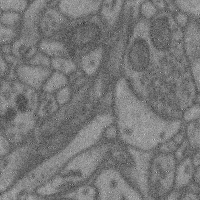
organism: Mouse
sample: Cerebral cortex